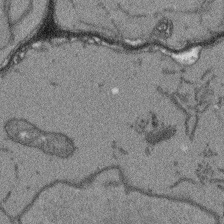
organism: Arabidopsis thaliana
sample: Root tip